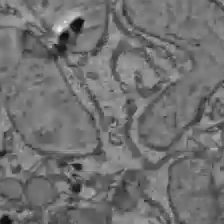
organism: C57BL Mouse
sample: Liver